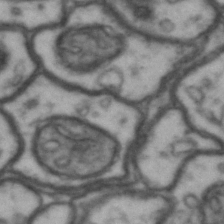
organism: Drosophila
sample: Brain